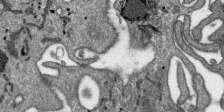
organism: Human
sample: Lung epithelial cells, uninfected (mock) control